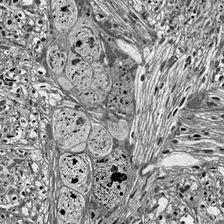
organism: Drosophila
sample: Optic lobe